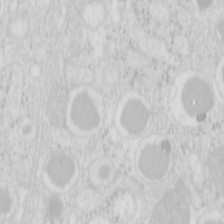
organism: Mouse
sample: Pancreas